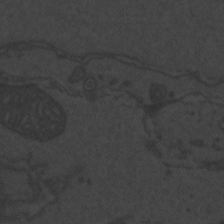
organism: Zebrafish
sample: Macrophage infected with Toxoplasma gondii